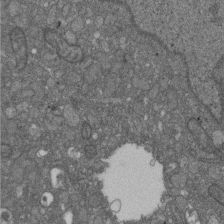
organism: Drosophila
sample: Nephrocyte